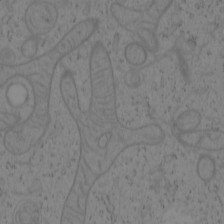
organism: Human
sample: HeLa cells